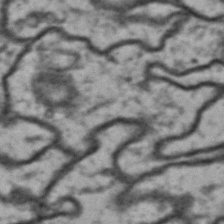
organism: Drosophila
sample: Brain